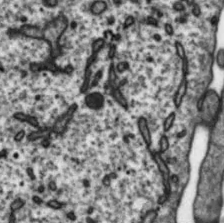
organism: Human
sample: HeLa cells